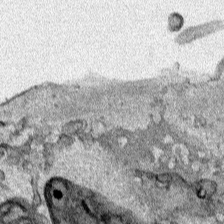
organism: Human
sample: Mitochondria in HCT116 cells